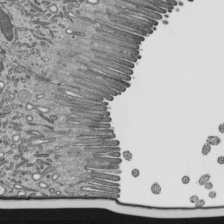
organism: Mouse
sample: Mouse epididymis efferent ductule cilia